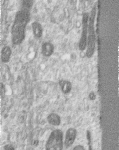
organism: Human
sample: Centriole in RPE cells